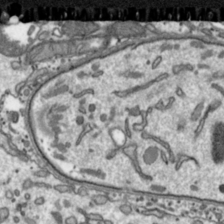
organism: Toxoplasma gondii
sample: Parasites in a vacuole inside a host cell